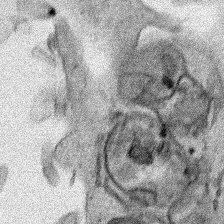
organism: Human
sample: Mitochondria in HCT116 cells